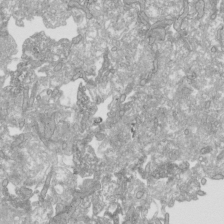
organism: Human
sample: Mitochondria in HCT116 cells